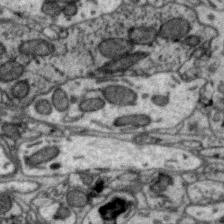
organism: Zebra finch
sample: Brain